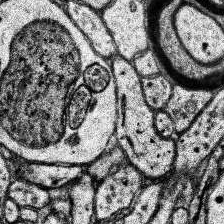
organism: Human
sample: Temporal Lobe